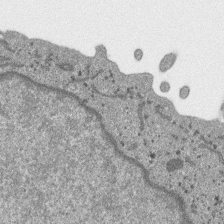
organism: Human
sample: Lung epithelial cells infected with SARS-CoV-2